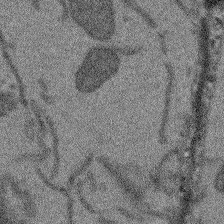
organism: Arabidopsis thaliana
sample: Root tip